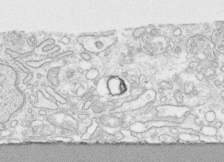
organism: Human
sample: CRL-1474